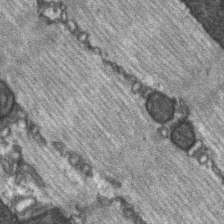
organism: C57BL Mouse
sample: Soleus